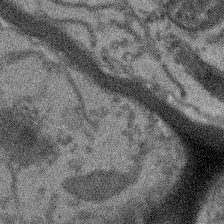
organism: Arabidopsis thaliana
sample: Root tip